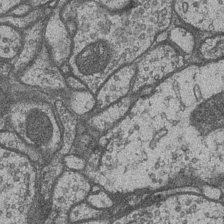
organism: Drosophila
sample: Optic medulla